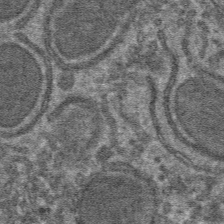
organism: Mouse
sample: Mouse hepatocytes